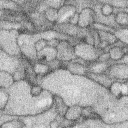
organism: Rabbit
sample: Retina